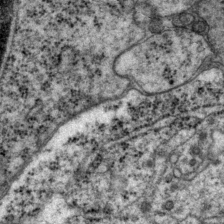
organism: P. pacificus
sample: Pharynx